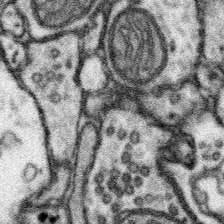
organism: Mouse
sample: Somatosensory cortex neuropil